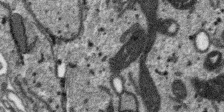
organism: Human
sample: Lung epithelial cells infected with SARS-CoV-2